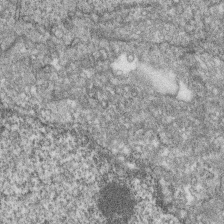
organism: Zebrafish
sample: Cilia; retinal pigment epithelium